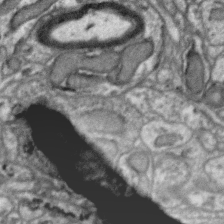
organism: Zebra finch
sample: Brain